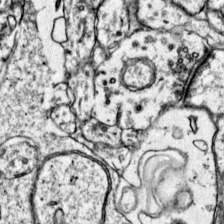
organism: Mouse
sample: Primary visual cortex